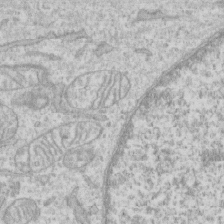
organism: Human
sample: CRL-1474